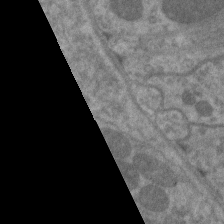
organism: C. elegans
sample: Pharynx